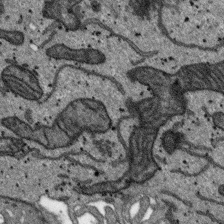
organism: Human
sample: Lung epithelial cells, uninfected (mock) control